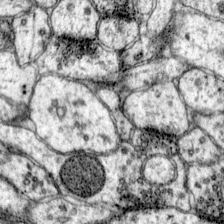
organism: Mouse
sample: Primary visual cortex